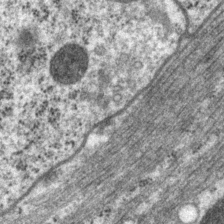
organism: P. pacificus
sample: Pharynx